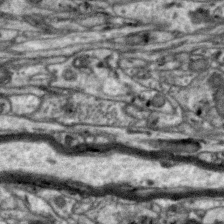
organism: Zebra finch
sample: Brain